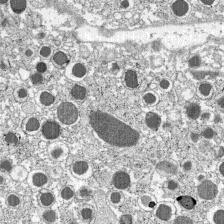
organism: C57BL Mouse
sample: Pancreatic islet